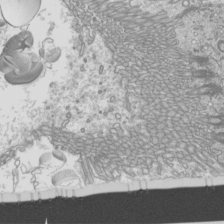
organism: Mouse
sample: Cilia; mouse epididymis